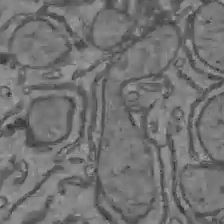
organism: C57BL Mouse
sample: Liver